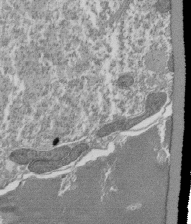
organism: Tetrahymena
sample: Cilia in tetrahymena